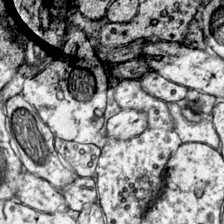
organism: Mouse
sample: Primary visual cortex